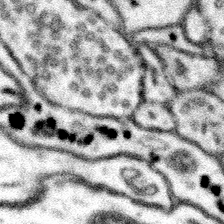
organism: Mouse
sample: Somatosensory cortex neuropil